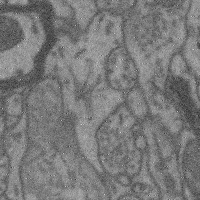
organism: Mouse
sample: Cerebral cortex